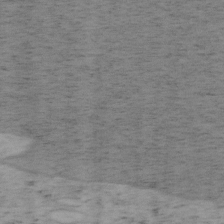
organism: Mouse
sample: OT-I killer T cells with ID8 ovarian cancer cells